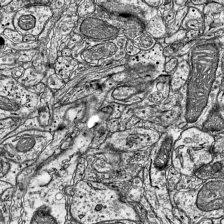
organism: Mouse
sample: Visual Cortex